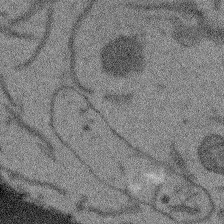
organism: Arabidopsis thaliana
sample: Root tip